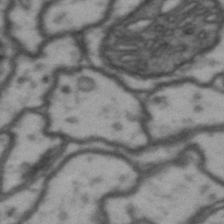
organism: Drosophila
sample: Brain